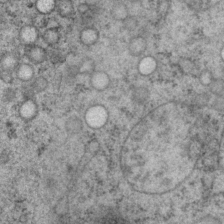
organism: P. pacificus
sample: Pharynx